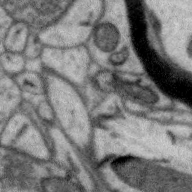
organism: Zebra finch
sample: Brain